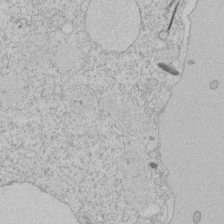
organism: Tetrahymena